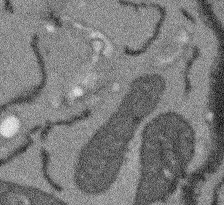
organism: Arabidopsis thaliana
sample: Root tip